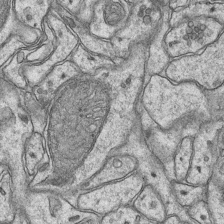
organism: Mouse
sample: CA1 Hippocampus